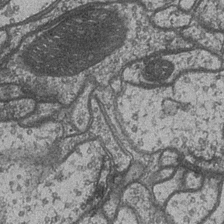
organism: Drosophila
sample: Optic medulla